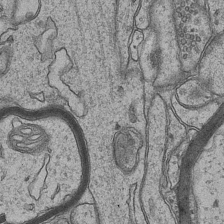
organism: Mouse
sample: CA1 Hippocampus